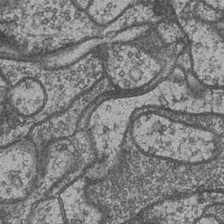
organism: Drosophila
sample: Optic medulla